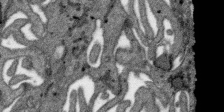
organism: Human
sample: Lung epithelial cells, uninfected (mock) control